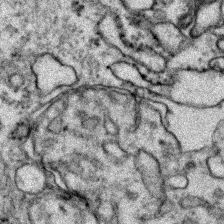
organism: Zebrafish